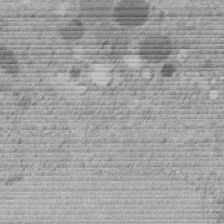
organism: C. elegans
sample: C. elegans embryo early stage